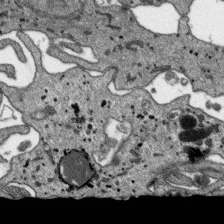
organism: Human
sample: Lung epithelial cells, uninfected (mock) control